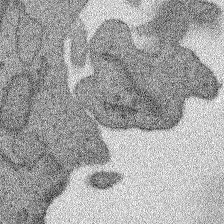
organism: Human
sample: HeLa cells